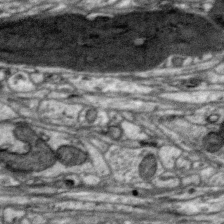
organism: Zebra finch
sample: Brain